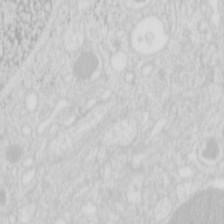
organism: Mouse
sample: Pancreas